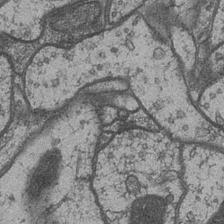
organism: Drosophila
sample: Optic medulla